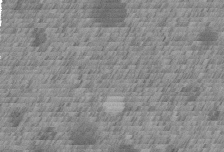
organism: C. elegans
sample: C. elegans embryo early stage